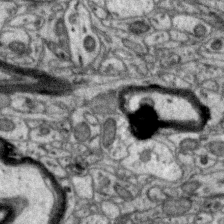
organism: Zebra finch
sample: Brain